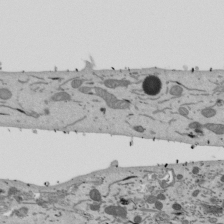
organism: Mouse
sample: ED-1 cell nuclei; centrioles